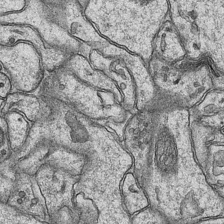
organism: Mouse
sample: CA1 Hippocampus